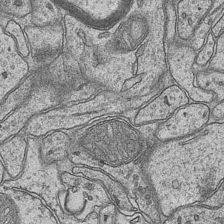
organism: Mouse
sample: CA1 Hippocampus